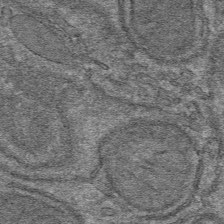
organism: Mouse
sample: Mouse hepatocytes